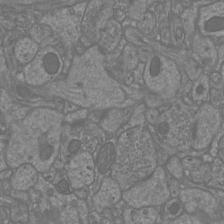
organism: Mouse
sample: Cortical neurons